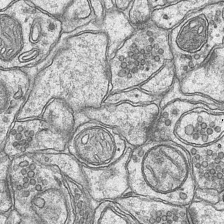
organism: Mouse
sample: CA1 Hippocampus